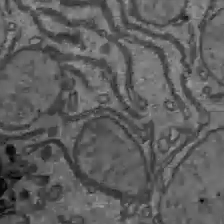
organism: C57BL Mouse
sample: Liver